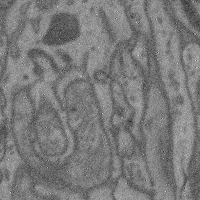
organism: Mouse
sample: Cerebral cortex